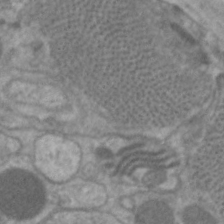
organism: C. elegans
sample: Pharynx